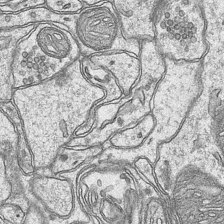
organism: Mouse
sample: CA1 Hippocampus